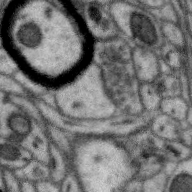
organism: Zebra finch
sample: Brain